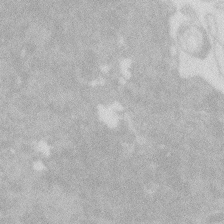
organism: Zebrafish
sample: Macrophage